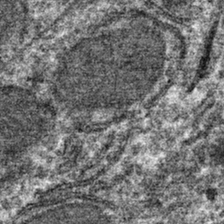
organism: Mouse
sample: Mouse hepatocytes